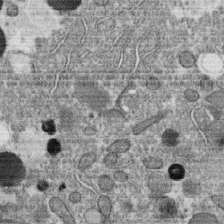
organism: C. elegans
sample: C. elegans oocyte; sperm cells